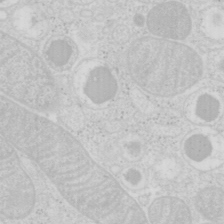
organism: Mouse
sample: Pancreas